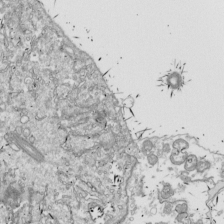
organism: Drosophila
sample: Cell division; meiosis; drosophila spermatocytes